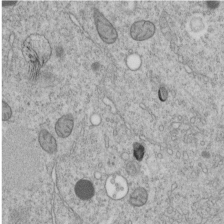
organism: C. elegans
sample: C. elegans embryo early stage